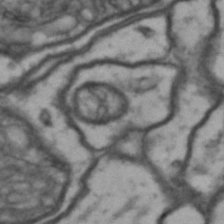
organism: Drosophila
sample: Brain